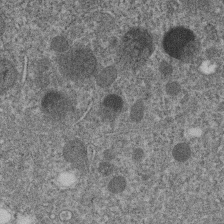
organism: C. elegans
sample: C. elegans embryo early stage